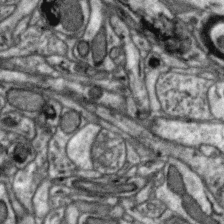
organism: Zebra finch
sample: Brain